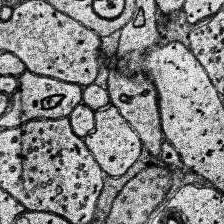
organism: Human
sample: Temporal Lobe